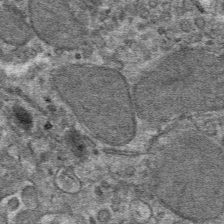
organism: Mouse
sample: Mouse hepatocytes